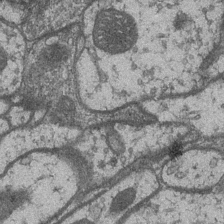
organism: Drosophila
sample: Optic medulla